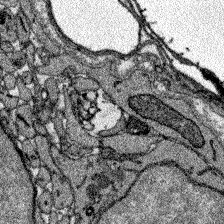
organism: Zebrafish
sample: Larval olfactory bulb